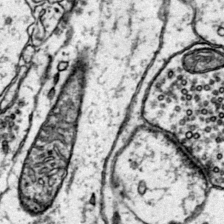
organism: Mouse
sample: Primary visual cortex